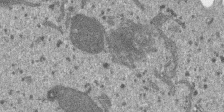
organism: Human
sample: Lung epithelial cells infected with SARS-CoV-2